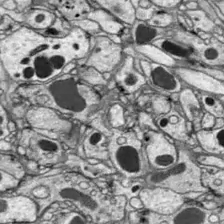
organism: Drosophila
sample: Optic lobe